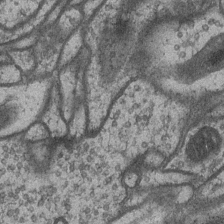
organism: Drosophila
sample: Optic medulla